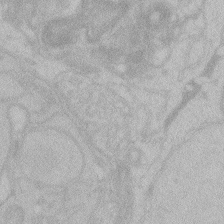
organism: Zebrafish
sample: Macrophage infected with Toxoplasma gondii